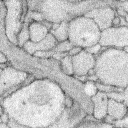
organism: Rabbit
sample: Retina